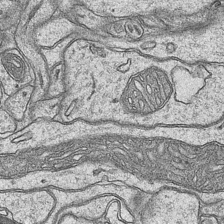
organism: Mouse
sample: CA1 Hippocampus